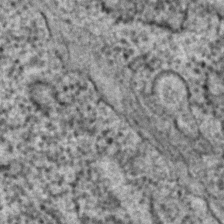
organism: C. elegans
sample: C. elegans embryo